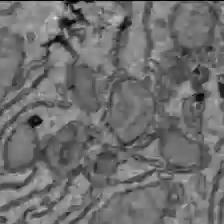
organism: C57BL Mouse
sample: Liver